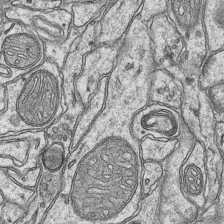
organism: Mouse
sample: CA1 Hippocampus